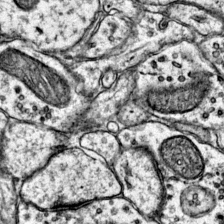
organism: Mouse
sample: Primary visual cortex